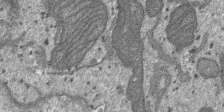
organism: Human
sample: Lung epithelial cells infected with SARS-CoV-2